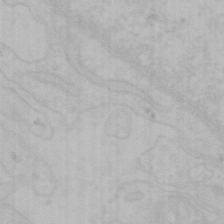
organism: Mouse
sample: Choroid plexus